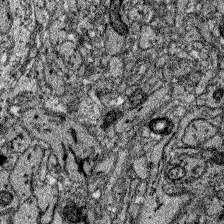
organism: Zebrafish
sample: Larval olfactory bulb